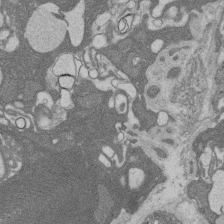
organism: Rat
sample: Salivary granule